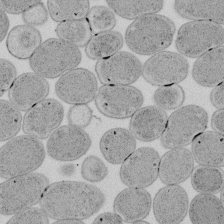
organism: E. coli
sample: Bacterial nucleoid